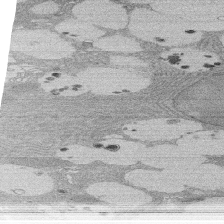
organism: Rat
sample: Salivary granule